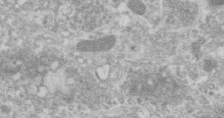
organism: Human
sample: Centriole in RPE cells